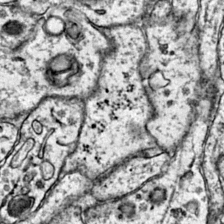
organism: Mouse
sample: Primary visual cortex